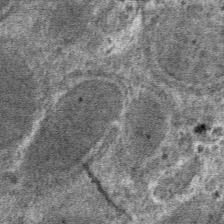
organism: Mouse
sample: Mouse hepatocytes